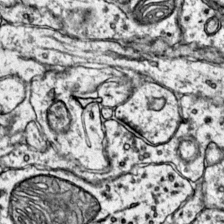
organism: Mouse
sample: Primary visual cortex